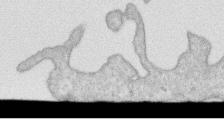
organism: Human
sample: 1205lu cells